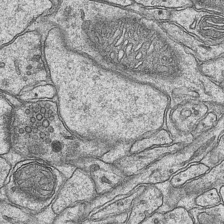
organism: Mouse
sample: CA1 Hippocampus